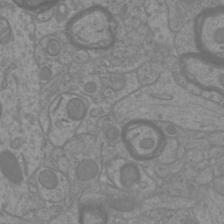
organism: Mouse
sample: Cortical neurons